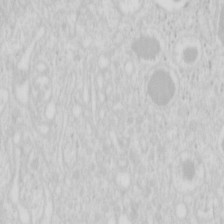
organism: Mouse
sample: Pancreas